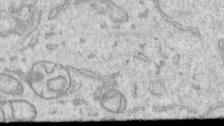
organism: Human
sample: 1205lu cells